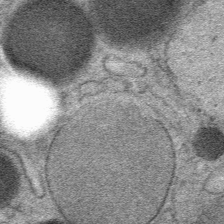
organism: Mouse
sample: Mouse Salivary gland